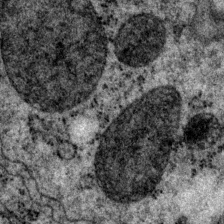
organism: P. pacificus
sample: Pharynx